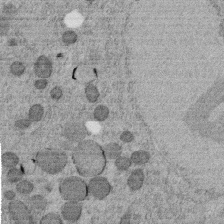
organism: C. elegans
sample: C. elegans embryo early stage